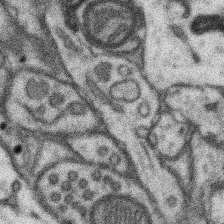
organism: Mouse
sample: Somatosensory cortex neuropil